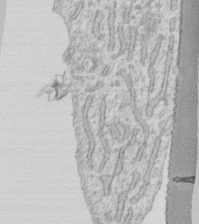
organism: Human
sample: Fibroblast cells